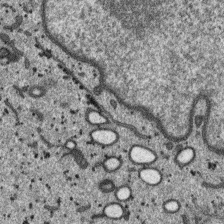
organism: Human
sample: Lung epithelial cells infected with SARS-CoV-2